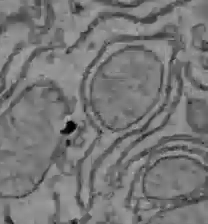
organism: C57BL Mouse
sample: Liver